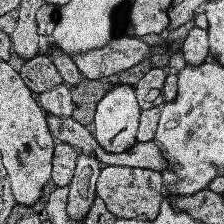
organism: Human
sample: Temporal Lobe